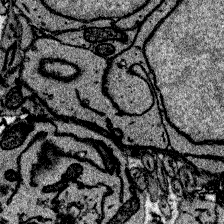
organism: Zebrafish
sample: Larval olfactory bulb